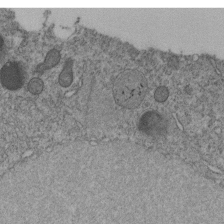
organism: C. elegans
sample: C. elegans embryo early stage